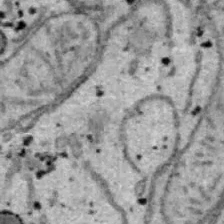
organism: Mouse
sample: Liver from an obese (ob/ob) mouse